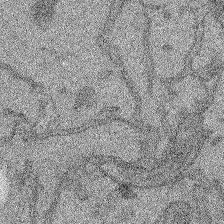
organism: Human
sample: HeLa cells